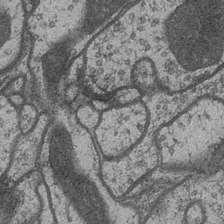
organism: Drosophila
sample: Optic medulla